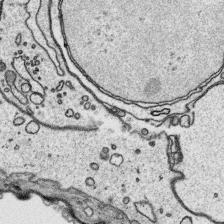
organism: Platynereis dumerilii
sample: Parapodia